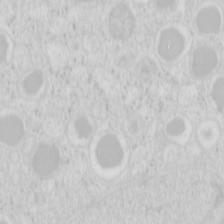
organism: Mouse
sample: Pancreas